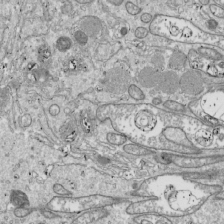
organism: Drosophila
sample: Cell division; meiosis; drosophila spermatocytes